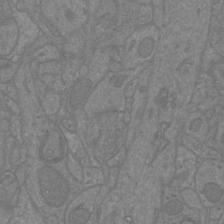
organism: Mouse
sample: Cortical neurons